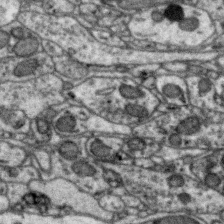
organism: Zebra finch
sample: Brain